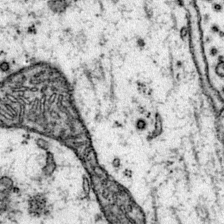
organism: Mouse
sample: Primary visual cortex